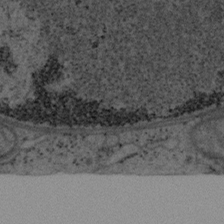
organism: Human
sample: HeLa cells